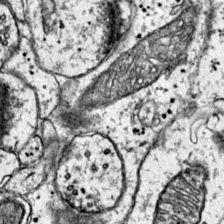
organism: Mouse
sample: Primary visual cortex